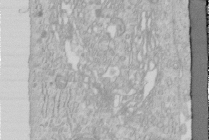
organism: Human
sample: Centriole in RPE cells